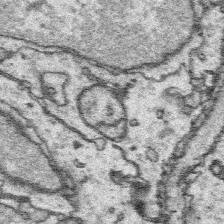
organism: Platynereis dumerilii